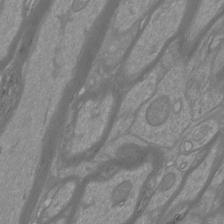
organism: Mouse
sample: Cortical neurons